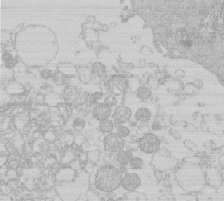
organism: Human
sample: Macrophage cells